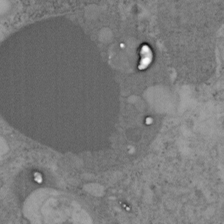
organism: Mouse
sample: OT-I killer T cells with ID8 ovarian cancer cells